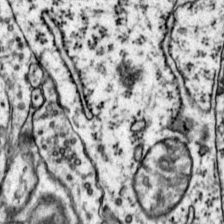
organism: Mouse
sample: Primary visual cortex